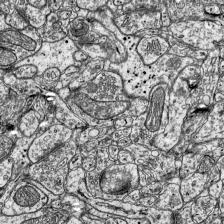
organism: Mouse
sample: Visual Cortex